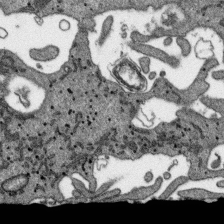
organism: Human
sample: Lung epithelial cells, uninfected (mock) control